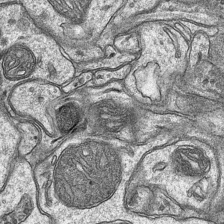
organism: Mouse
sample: CA1 Hippocampus